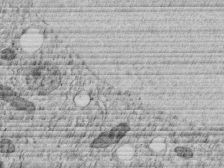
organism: C. elegans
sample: C. elegans embryo early stage